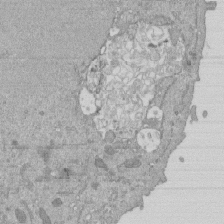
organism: Mouse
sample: ED-1 cell nuclei; centrioles